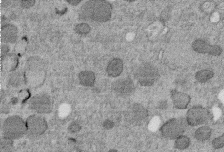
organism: C. elegans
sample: C. elegans embryo early stage